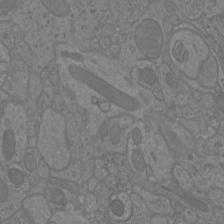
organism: Mouse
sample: Cortical neurons